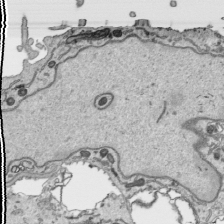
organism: Human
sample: Mitochondria in HCT116 cells